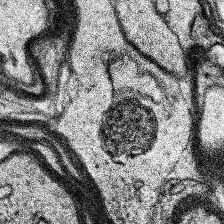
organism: Human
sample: Temporal Lobe